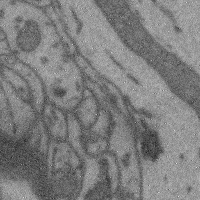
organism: Mouse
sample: Cerebral cortex